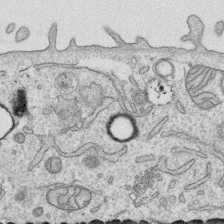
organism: Human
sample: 1205lu cells